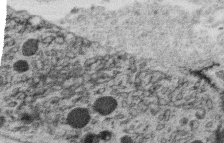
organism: C. elegans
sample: C. elegans oocyte; sperm cells